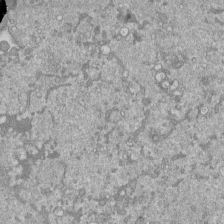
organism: Mouse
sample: ED-1 cell nuclei; centrioles